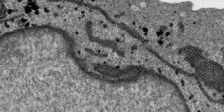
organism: Human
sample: Lung epithelial cells, uninfected (mock) control